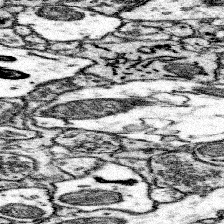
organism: Mouse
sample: Somatosensory cortex neuropil